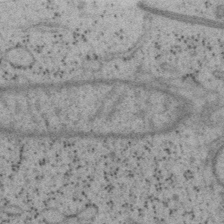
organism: Human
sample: HeLa cells